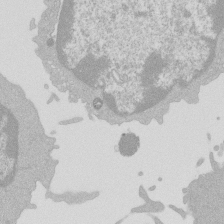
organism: Mouse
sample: Activated Pmel transgenic CD8+ T Cells